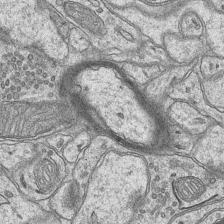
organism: Mouse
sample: CA1 Hippocampus